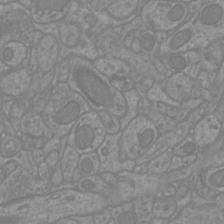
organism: Mouse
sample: Cortical neurons